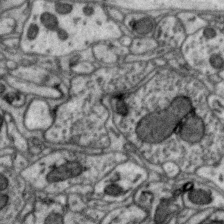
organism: Zebra finch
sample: Brain